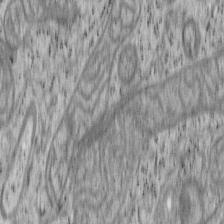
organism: Human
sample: HeLa cells